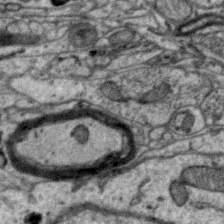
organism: Zebra finch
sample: Brain